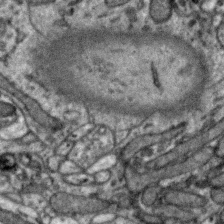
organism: Zebra finch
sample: Brain